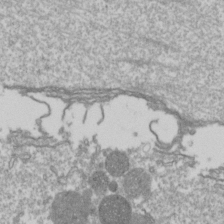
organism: Drosophila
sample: Cell division; meiosis; drosophila spermatocytes